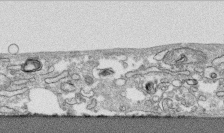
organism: Human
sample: CRL-1474